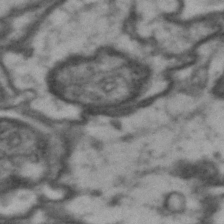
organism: Drosophila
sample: Brain